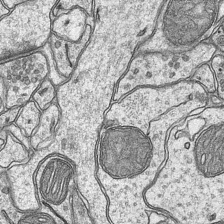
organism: Mouse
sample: CA1 Hippocampus